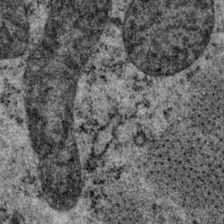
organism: P. pacificus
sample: Pharynx